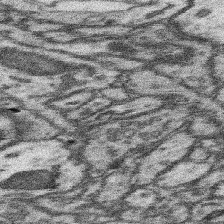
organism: Mouse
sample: Somatosensory cortex neuropil